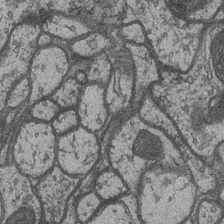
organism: Drosophila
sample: Optic medulla